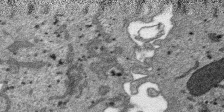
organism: Human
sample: Lung epithelial cells infected with SARS-CoV-2